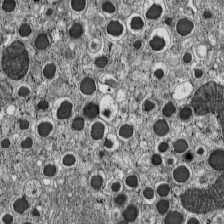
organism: C57BL Mouse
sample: Pancreatic islet